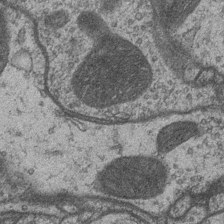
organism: Drosophila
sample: Optic medulla